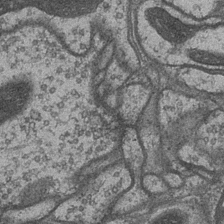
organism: Drosophila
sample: Optic medulla